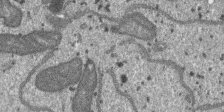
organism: Human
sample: Lung epithelial cells infected with SARS-CoV-2